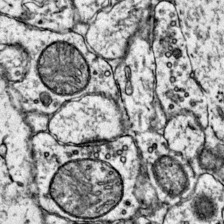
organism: Mouse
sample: Primary visual cortex